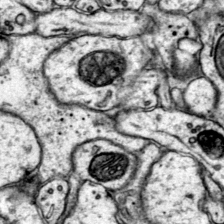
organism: Mouse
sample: Primary visual cortex